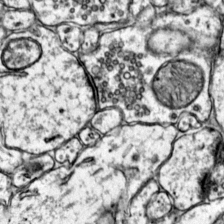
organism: Mouse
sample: Primary visual cortex